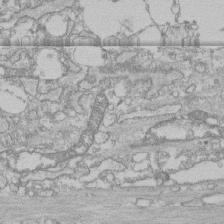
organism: Human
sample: CRL-1474